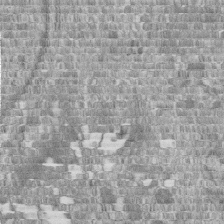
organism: Human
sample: Centriole in fibroblast cells